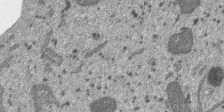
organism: Human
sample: Lung epithelial cells infected with SARS-CoV-2